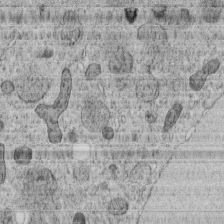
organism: C. elegans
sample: C. elegans embryo early stage